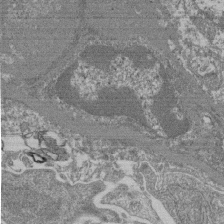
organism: Mouse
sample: Glomerulus